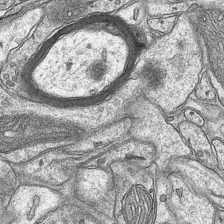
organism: Mouse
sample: CA1 Hippocampus